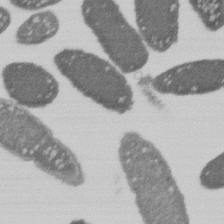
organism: E. coli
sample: Bacterial nucleoid